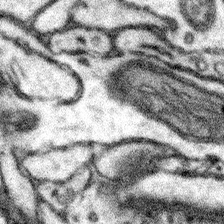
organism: Mouse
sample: Somatosensory cortex neuropil